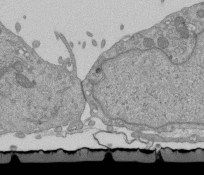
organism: Mouse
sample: ED-1 cell nuclei; centrioles